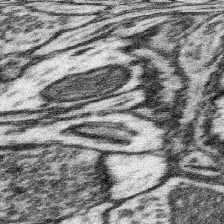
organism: Mouse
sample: Somatosensory cortex neuropil